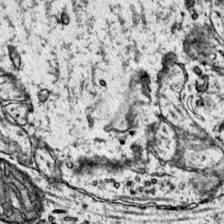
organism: Mouse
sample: Primary visual cortex